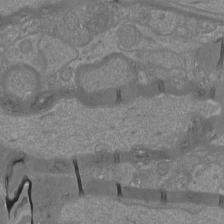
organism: Mouse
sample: Cortical neurons